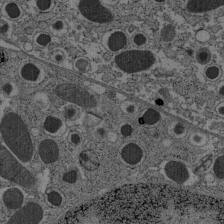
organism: C57BL Mouse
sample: Pancreatic islet